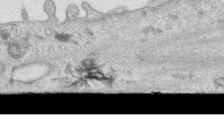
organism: Human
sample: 1205lu cells